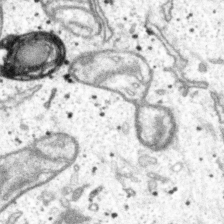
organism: Human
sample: HeLa cells